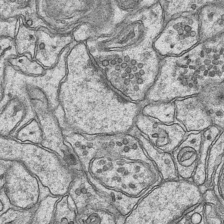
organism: Mouse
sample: CA1 Hippocampus